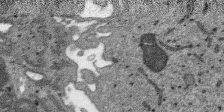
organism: Human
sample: Lung epithelial cells infected with SARS-CoV-2